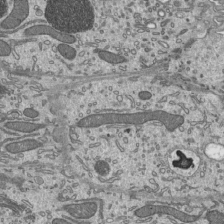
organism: Mouse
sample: Mouse epididymis efferent ductule cilia